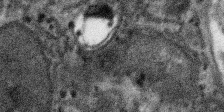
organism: Human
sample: Lung epithelial cells infected with SARS-CoV-2